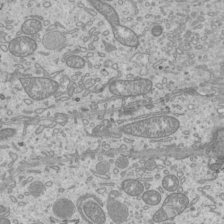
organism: Mouse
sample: Cilia; mouse epididymis